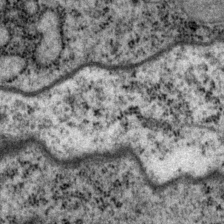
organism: P. pacificus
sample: Pharynx